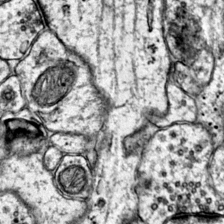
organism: Mouse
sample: Primary visual cortex